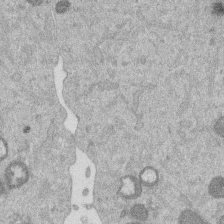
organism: Mouse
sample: Dividing mouse embryo 1 cell stage